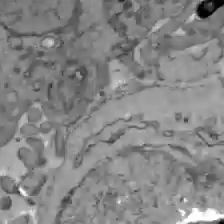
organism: C57BL Mouse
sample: Liver